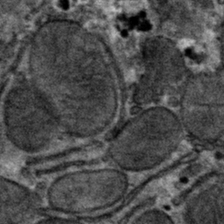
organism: Mouse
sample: Mouse hepatocytes